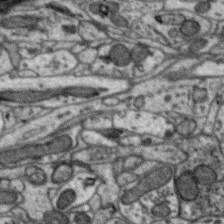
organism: Zebra finch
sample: Brain